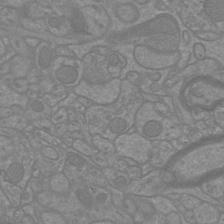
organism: Mouse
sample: Cortical neurons